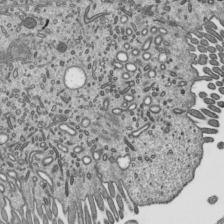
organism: Mouse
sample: Mouse epididymis efferent ductule cilia